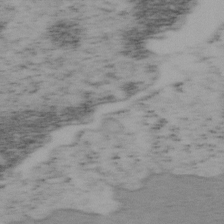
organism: Mouse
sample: OT-I killer T cells with ID8 ovarian cancer cells